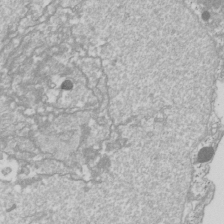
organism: Drosophila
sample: Cell division; meiosis; drosophila spermatocytes